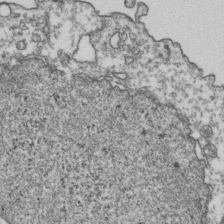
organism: Human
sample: Activated Jurkat CD4+ T cells